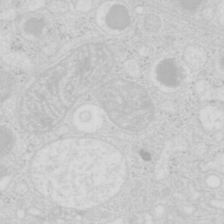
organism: Mouse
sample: Pancreas